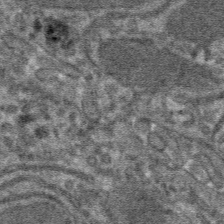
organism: Mouse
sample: Mouse hepatocytes